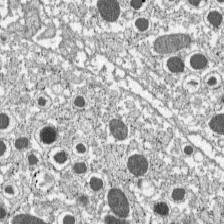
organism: C57BL Mouse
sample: Pancreatic islet